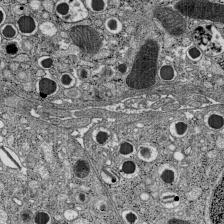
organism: C57BL Mouse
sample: Pancreatic islet